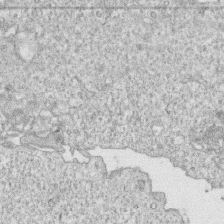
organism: Human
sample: HeLa cell HIV synapse